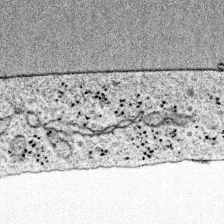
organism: Human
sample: HeLa cells